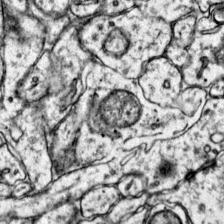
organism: Mouse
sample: Primary visual cortex